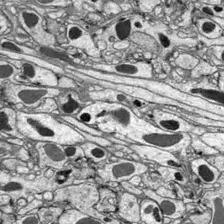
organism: Drosophila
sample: Optic lobe